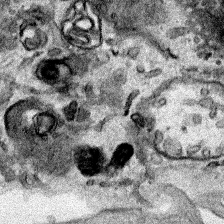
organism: Human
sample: Mitochondria in HCT116 cells